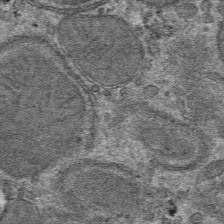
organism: Mouse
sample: Mouse hepatocytes